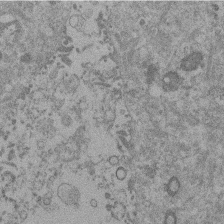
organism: Mouse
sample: Dividing mouse embryo 1 cell stage